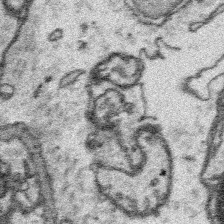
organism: Platynereis dumerilii